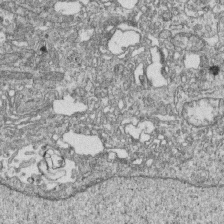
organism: Human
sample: HeLa cell HIV synapse